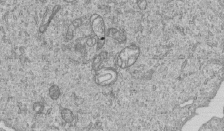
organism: Human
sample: MDA-MB-231 cells